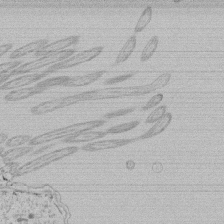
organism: Tetrahymena